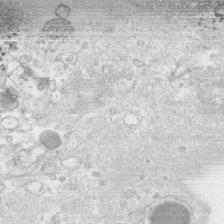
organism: Human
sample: CRL-1474